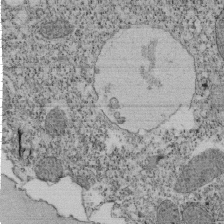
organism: Tetrahymena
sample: Cilia in tetrahymena